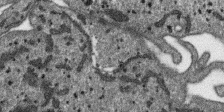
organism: Human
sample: Lung epithelial cells infected with SARS-CoV-2